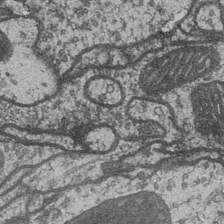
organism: Drosophila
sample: Optic medulla